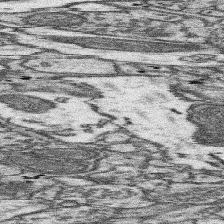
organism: Mouse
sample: Somatosensory cortex neuropil